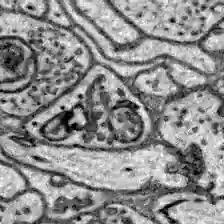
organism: Zebrafish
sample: Brain